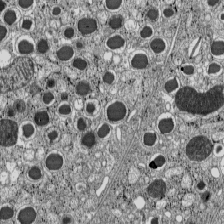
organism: C57BL Mouse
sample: Pancreatic islet